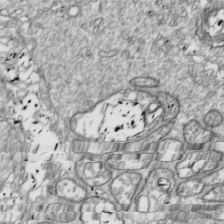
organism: Drosophila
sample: Cell division; meiosis; drosophila spermatocytes